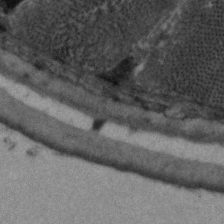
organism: C. elegans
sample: Pharynx